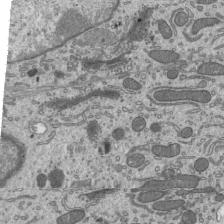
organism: Mouse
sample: Mouse epididymis efferent ductule cilia